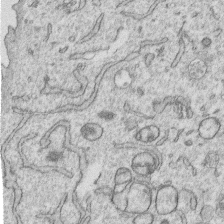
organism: Human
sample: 1205lu cells